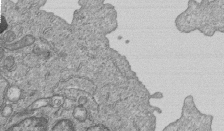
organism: Human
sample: MDA-MB-231 cells